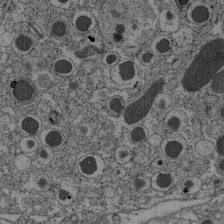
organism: C57BL Mouse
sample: Pancreatic islet